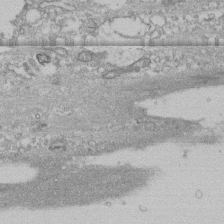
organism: Human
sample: CRL-1474